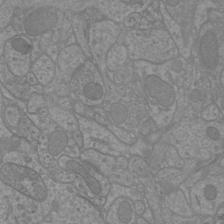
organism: Mouse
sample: Cortical neurons